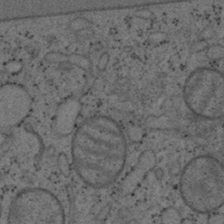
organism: Human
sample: HeLa cells